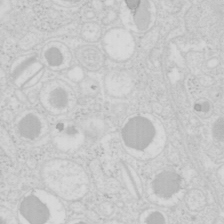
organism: Mouse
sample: Pancreas